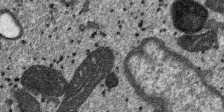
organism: Human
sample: Lung epithelial cells infected with SARS-CoV-2